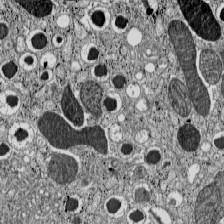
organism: C57BL Mouse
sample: Pancreatic islet